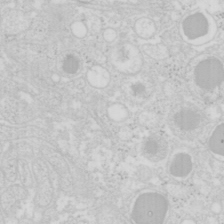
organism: Mouse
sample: Pancreas